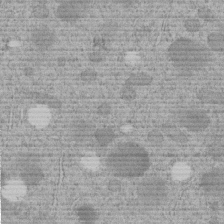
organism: C. elegans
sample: C. elegans embryo early stage